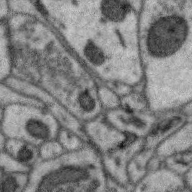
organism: Zebra finch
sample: Brain